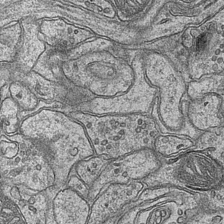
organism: Mouse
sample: CA1 Hippocampus